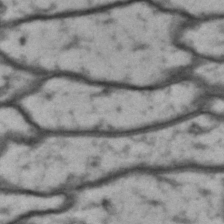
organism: Drosophila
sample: Brain